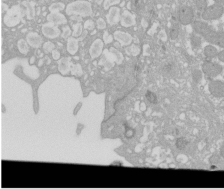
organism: Xenopus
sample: Cilia; centrioles in frog embryo cells